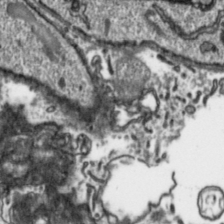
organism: Toxoplasma gondii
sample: Parasites in a vacuole inside a host cell